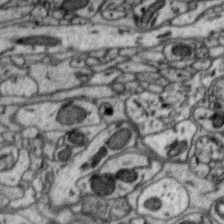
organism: Zebra finch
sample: Brain